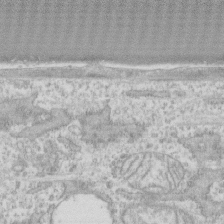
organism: Human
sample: CRL-1474